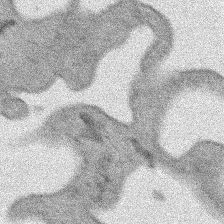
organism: Human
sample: Mitochondria in HCT116 cells